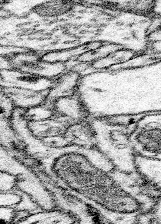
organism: Mouse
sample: Somatosensory cortex neuropil